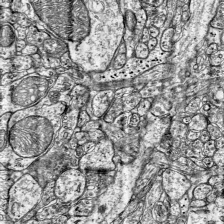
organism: Mouse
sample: Visual Cortex